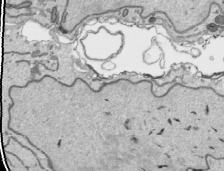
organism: Human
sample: Mitochondria in HCT116 cells